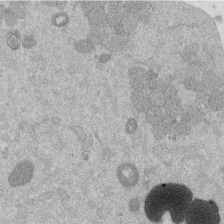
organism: Mouse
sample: Dividing mouse embryo 1 cell stage